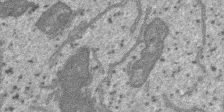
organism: Human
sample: Lung epithelial cells infected with SARS-CoV-2